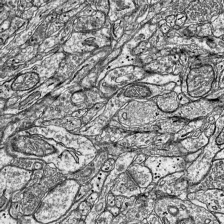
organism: Mouse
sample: Visual Cortex